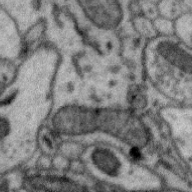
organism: Zebra finch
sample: Brain